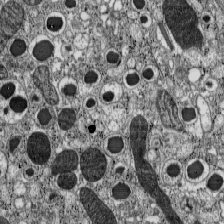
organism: C57BL Mouse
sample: Pancreatic islet